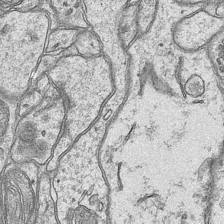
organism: Mouse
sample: CA1 Hippocampus